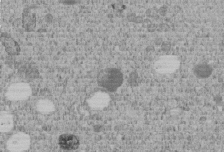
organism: C. elegans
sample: C. elegans embryo early stage